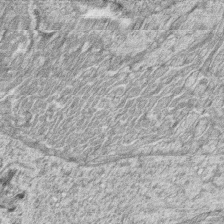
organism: Zebrafish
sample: synaptic ribbons in rod cells and cone cells